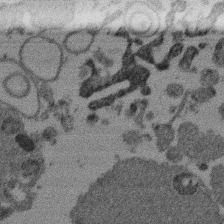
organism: Mouse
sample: Dividing mouse embryo 1 cell stage